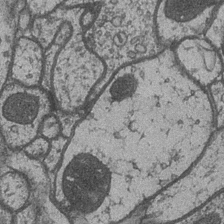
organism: Drosophila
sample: Optic medulla